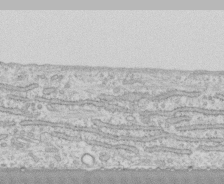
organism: Human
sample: CRL-1474